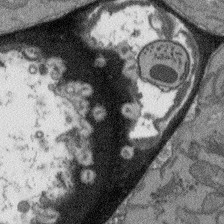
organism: Arabidopsis thaliana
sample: Root tip